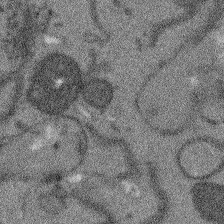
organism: Arabidopsis thaliana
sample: Root tip